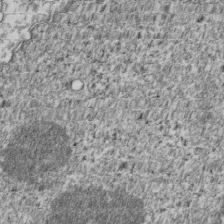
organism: Human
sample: Activated Jurkat CD4+ T cells